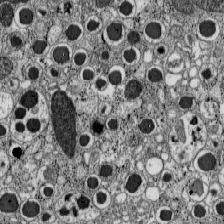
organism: C57BL Mouse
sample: Pancreatic islet